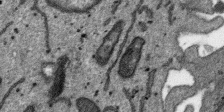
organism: Human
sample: Lung epithelial cells, uninfected (mock) control